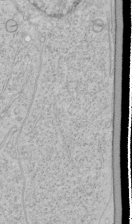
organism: Human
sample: Mitochondria in HCT116 cells